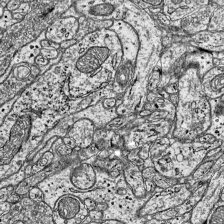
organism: Mouse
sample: Visual Cortex